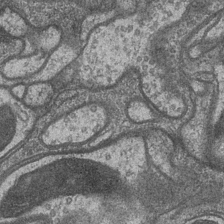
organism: Drosophila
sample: Optic medulla